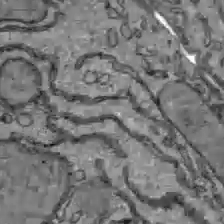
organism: C57BL Mouse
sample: Liver